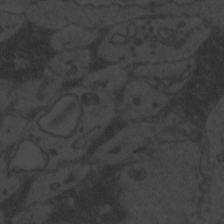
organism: Zebrafish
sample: Macrophage infected with Toxoplasma gondii